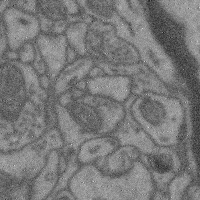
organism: Mouse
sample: Cerebral cortex